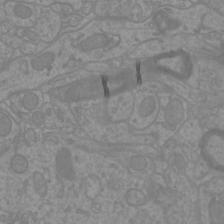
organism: Mouse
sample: Cortical neurons